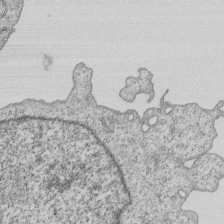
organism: Human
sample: MDA-MB-231 cells